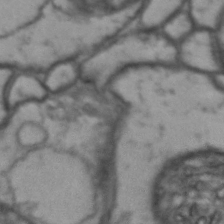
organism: Drosophila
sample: Brain